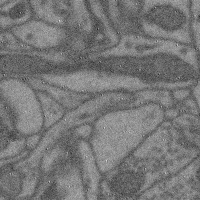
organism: Mouse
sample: Cerebral cortex